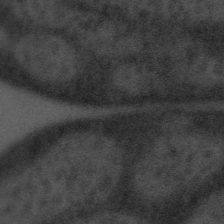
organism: Tuwongella immobilis